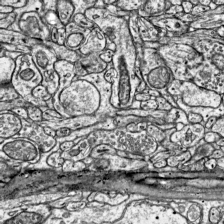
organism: Mouse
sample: Visual Cortex